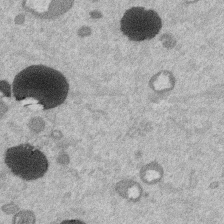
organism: Mouse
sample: Dividing mouse embryo 1 cell stage